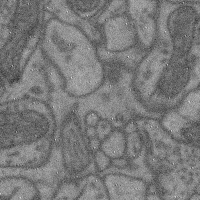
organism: Mouse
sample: Cerebral cortex